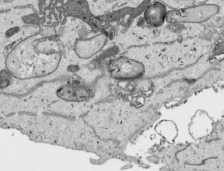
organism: Human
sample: Mitochondria in HCT116 cells